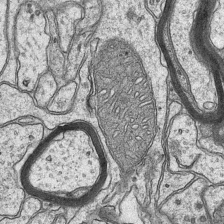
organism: Mouse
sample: CA1 Hippocampus